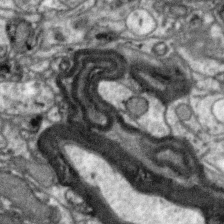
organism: Zebra finch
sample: Brain